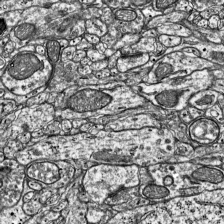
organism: Mouse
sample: Visual Cortex